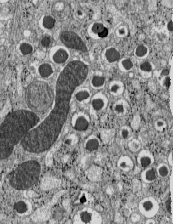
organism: C57BL Mouse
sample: Pancreatic islet